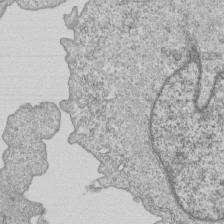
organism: Human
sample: MDA-MB-231 cells